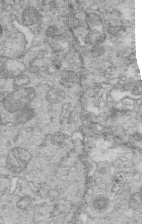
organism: Mouse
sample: Multiciliated cells